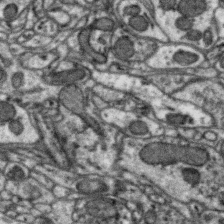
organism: Zebra finch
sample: Brain